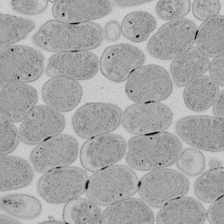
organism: E. coli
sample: Bacterial nucleoid